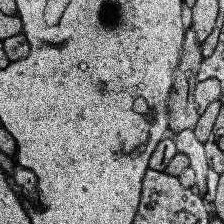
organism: Human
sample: Temporal Lobe